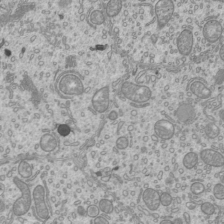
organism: Mouse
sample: Cilia; mouse epididymis